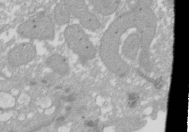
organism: Xenopus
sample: Cilia; centrioles in frog embryo cells